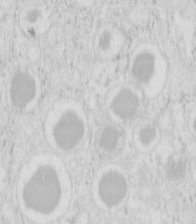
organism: Mouse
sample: Pancreas